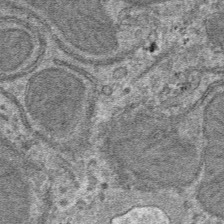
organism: Mouse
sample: Mouse hepatocytes